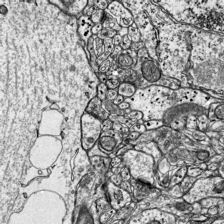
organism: Mouse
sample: Visual Cortex